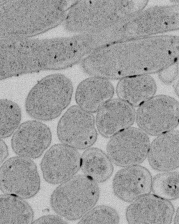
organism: E. coli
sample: Bacterial nucleoid